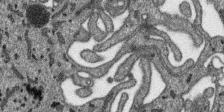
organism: Human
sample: Lung epithelial cells infected with SARS-CoV-2